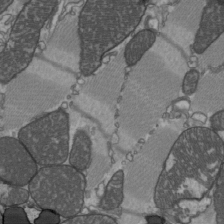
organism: C57BL Mouse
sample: Heart